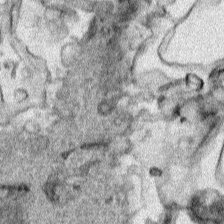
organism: Human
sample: Mitochondria in HCT116 cells